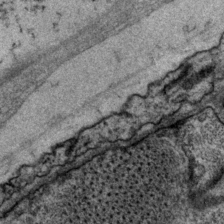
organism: P. pacificus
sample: Pharynx